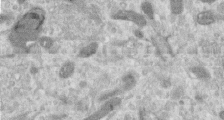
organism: Human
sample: Centriole in RPE cells